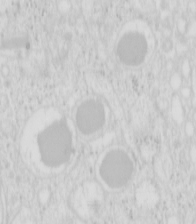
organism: Mouse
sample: Pancreas